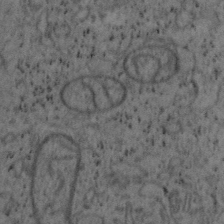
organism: Human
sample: HeLa cells